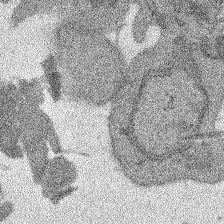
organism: Human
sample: HeLa cells